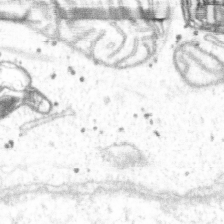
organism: Human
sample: HeLa cells